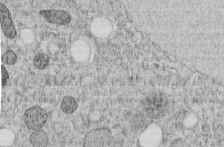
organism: C. elegans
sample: C. elegans embryo early stage